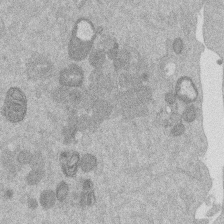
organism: Mouse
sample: Dividing mouse embryo 1 cell stage